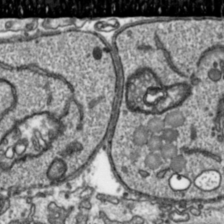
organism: Toxoplasma gondii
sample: Parasites in a vacuole inside a host cell